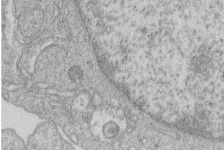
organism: Human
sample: Macrophage cells